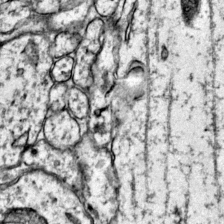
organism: Mouse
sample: Primary visual cortex